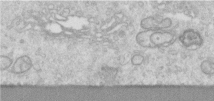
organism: Human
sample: Centriole in RPE cells